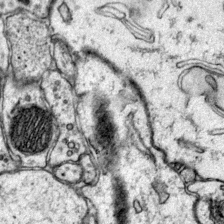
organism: Mouse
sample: Primary visual cortex